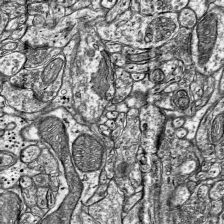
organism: Mouse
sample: Visual Cortex